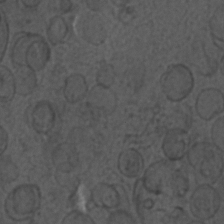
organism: C. elegans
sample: C. elegans embryo